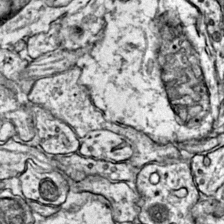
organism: Mouse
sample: Primary visual cortex